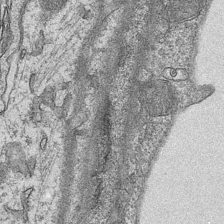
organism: Mouse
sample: CA1 Hippocampus